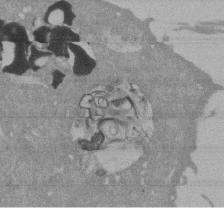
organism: Mouse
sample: ED-1 cell nuclei; centrioles